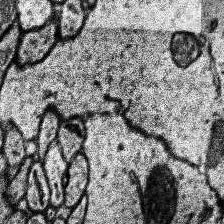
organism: Human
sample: Temporal Lobe